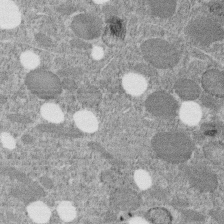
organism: C. elegans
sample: C. elegans embryo early stage